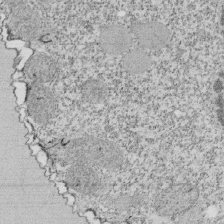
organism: Tetrahymena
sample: Cilia in tetrahymena